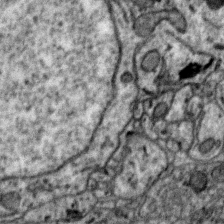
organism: Zebra finch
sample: Brain